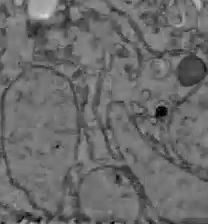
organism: C57BL Mouse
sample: Liver